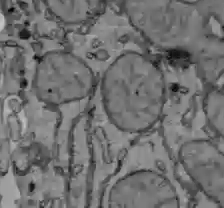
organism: C57BL Mouse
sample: Liver